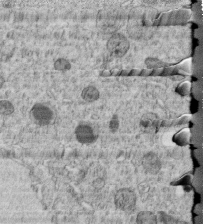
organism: C. elegans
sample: C. elegans embryo early stage